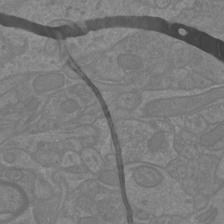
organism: Mouse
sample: Cortical neurons